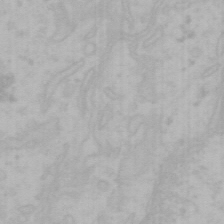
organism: Mouse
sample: Choroid plexus